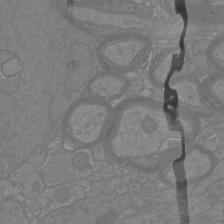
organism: Mouse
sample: Cortical neurons